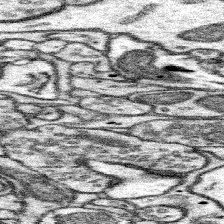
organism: Mouse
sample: Somatosensory cortex neuropil